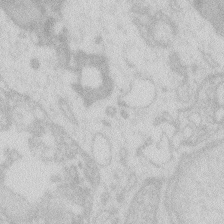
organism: Zebrafish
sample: Macrophage